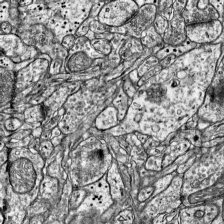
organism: Mouse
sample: Visual Cortex